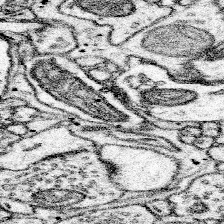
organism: Mouse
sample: Somatosensory cortex neuropil